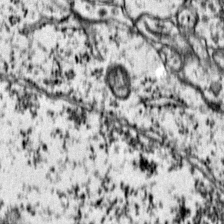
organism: Mouse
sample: Primary visual cortex